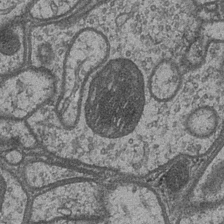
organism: Drosophila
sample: Optic medulla